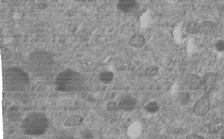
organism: C. elegans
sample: C. elegans embryo early stage